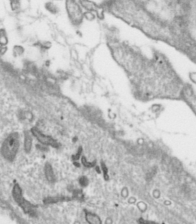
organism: Toxoplasma gondii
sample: Parasites in a vacuole inside a host cell